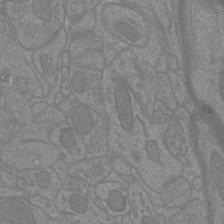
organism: Mouse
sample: Cortical neurons